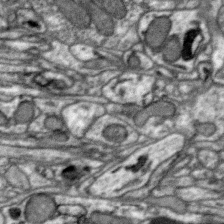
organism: Zebra finch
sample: Brain